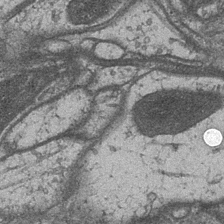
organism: Drosophila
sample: Optic medulla